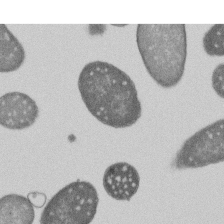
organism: E. coli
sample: Bacterial nucleoid